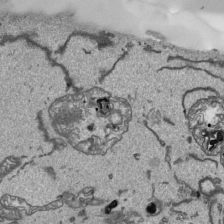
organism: Human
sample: Mitochondria in HCT116 cells